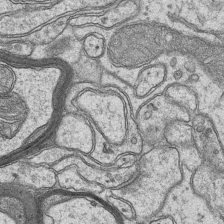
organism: Mouse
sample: CA1 Hippocampus